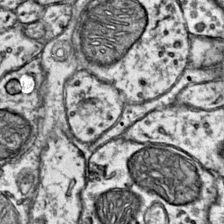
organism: Mouse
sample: Primary visual cortex